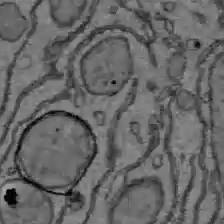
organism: C57BL Mouse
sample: Liver